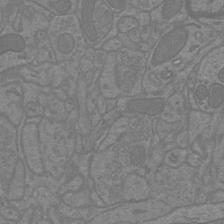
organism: Mouse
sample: Cortical neurons